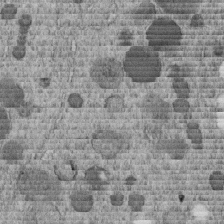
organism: C. elegans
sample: C. elegans embryo early stage